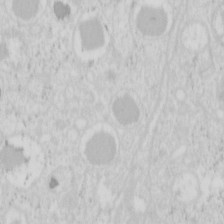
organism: Mouse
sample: Pancreas